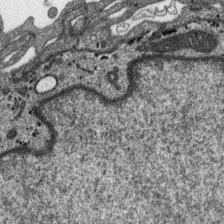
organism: Human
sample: Lung epithelial cells infected with SARS-CoV-2